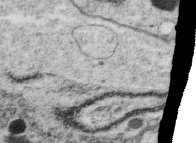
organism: C. elegans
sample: C. elegans oocyte; sperm cells